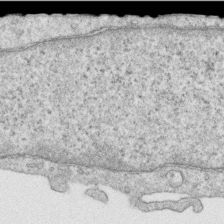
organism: Human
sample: Centriole in RPE cells